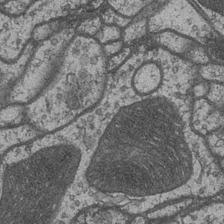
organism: Drosophila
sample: Optic medulla